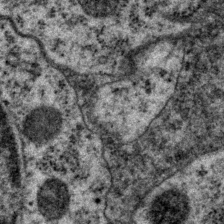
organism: P. pacificus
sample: Pharynx